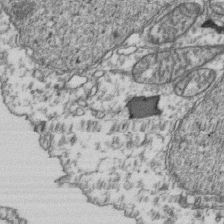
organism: Human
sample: Activated Jurkat CD4+ T cells